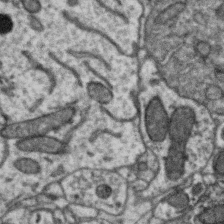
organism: Zebra finch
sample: Brain